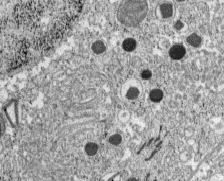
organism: C57BL Mouse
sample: Pancreatic islet